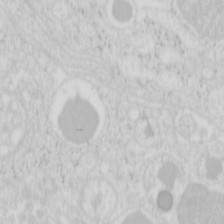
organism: Mouse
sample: Pancreas